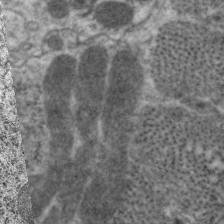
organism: C. elegans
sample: Pharynx